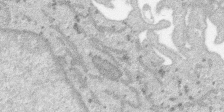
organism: Human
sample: Lung epithelial cells infected with SARS-CoV-2